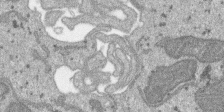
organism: Human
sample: Lung epithelial cells infected with SARS-CoV-2